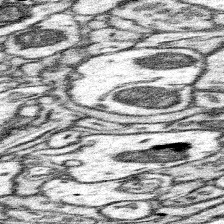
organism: Mouse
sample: Somatosensory cortex neuropil